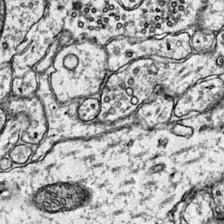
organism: Mouse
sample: Primary visual cortex